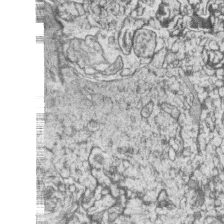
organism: Zebrafish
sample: synaptic ribbons in rod cells and cone cells